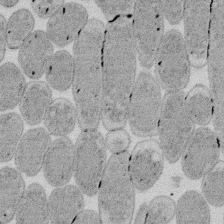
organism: E. coli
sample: Bacterial nucleoid